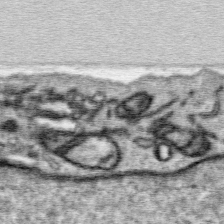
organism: Human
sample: HeLa cells